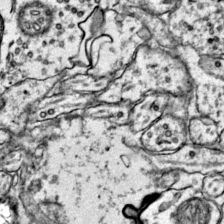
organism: Mouse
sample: Primary visual cortex